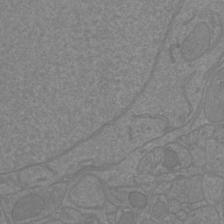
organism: Mouse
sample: Cortical neurons